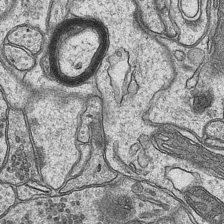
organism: Mouse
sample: CA1 Hippocampus